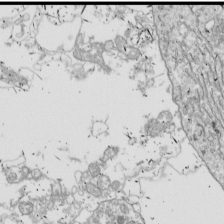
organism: Drosophila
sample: Cell division; meiosis; drosophila spermatocytes